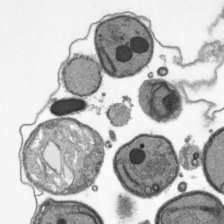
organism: Plasmodium falciparum